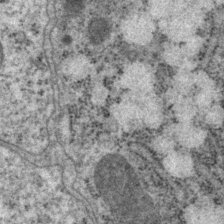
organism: P. pacificus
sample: Pharynx